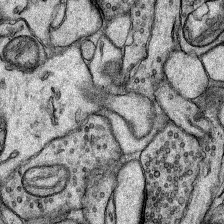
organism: Rat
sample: Hippocampus